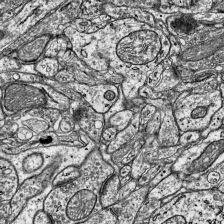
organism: Mouse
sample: Visual Cortex